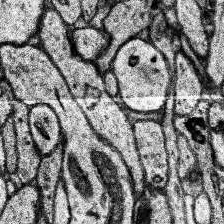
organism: Human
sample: Temporal Lobe